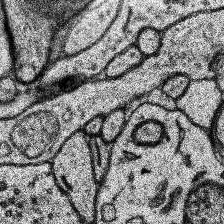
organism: Human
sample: Temporal Lobe